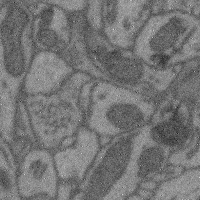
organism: Mouse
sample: Cerebral cortex